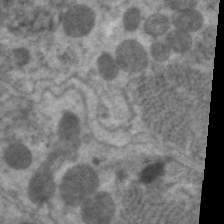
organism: C. elegans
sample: Pharynx